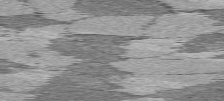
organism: C57BL Mouse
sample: Heart